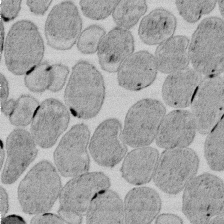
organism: E. coli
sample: Bacterial nucleoid